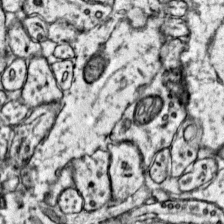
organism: Mouse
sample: Primary visual cortex